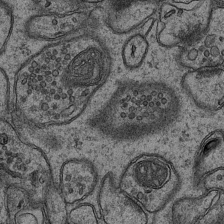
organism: Mouse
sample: CA1 Hippocampus